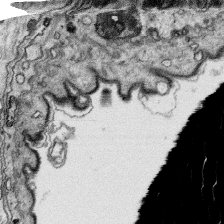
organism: Platynereis dumerilii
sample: Parapodia